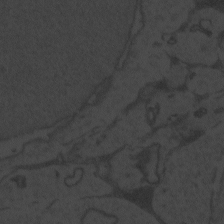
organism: Zebrafish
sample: Macrophage infected with Toxoplasma gondii